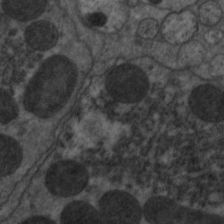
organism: C. elegans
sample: Pharynx